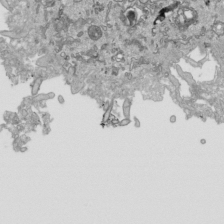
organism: Human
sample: Mitochondria in HCT116 cells